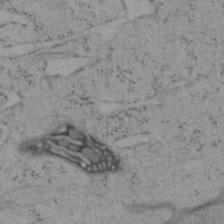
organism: Mouse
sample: OT-I killer T cells with ID8 ovarian cancer cells